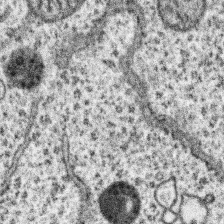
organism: Human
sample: HeLa cells